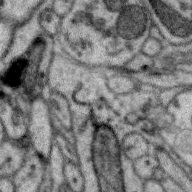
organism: Zebra finch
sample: Brain